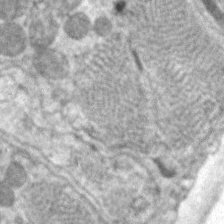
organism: C. elegans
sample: Pharynx